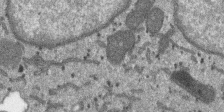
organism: Human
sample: Lung epithelial cells infected with SARS-CoV-2